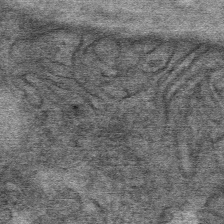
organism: Mouse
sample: Mouse Salivary gland